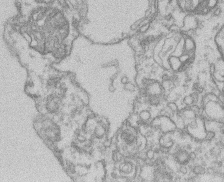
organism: Mouse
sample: T cell stromal cell synapse